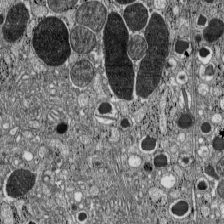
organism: C57BL Mouse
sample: Pancreatic islet